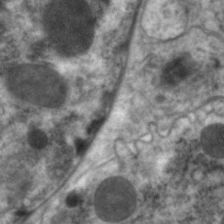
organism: C. elegans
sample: Pharynx